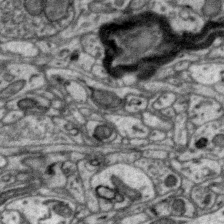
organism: Zebra finch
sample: Brain